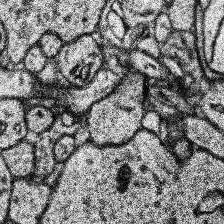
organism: Human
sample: Temporal Lobe